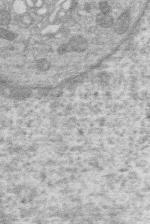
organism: Human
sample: Macrophage cells